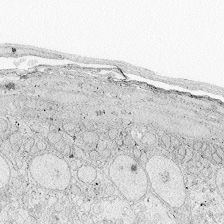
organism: Zebrafish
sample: Whole-Brain